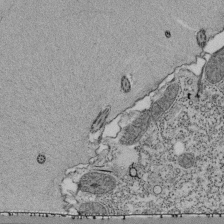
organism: Tetrahymena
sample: Cilia in tetrahymena